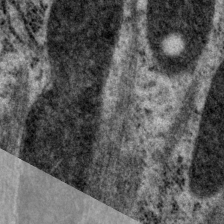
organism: P. pacificus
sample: Pharynx